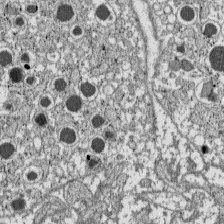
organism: C57BL Mouse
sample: Pancreatic islet